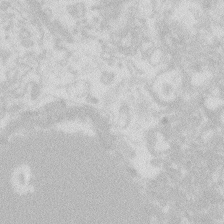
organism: Zebrafish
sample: Macrophage